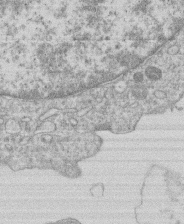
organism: Human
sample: Macrophage cells